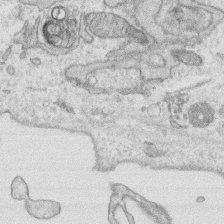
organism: Human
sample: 1205lu cells